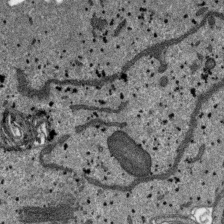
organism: Human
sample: Lung epithelial cells, uninfected (mock) control